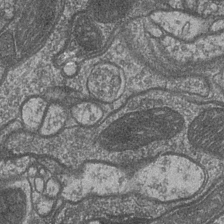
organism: Drosophila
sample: Optic medulla